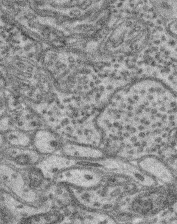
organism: Mouse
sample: Retina